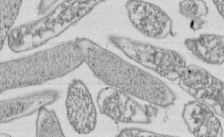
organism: E. coli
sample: Bacterial nucleoid